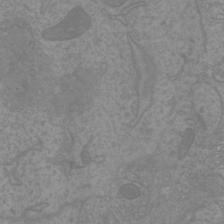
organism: Mouse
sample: Cortical neurons